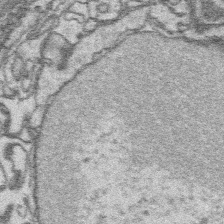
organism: Platynereis dumerilii